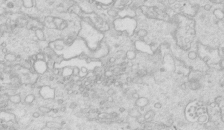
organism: Mouse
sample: Multiciliated cells